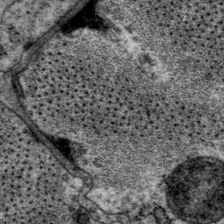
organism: P. pacificus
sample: Pharynx